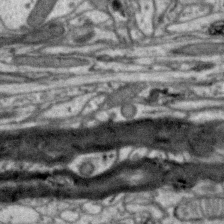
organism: Zebra finch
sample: Brain